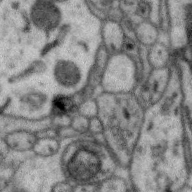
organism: Zebra finch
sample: Brain